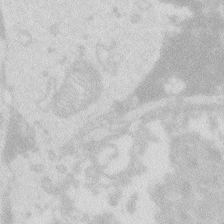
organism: Zebrafish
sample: Macrophage